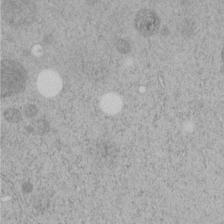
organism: C. elegans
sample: C. elegans embryo early stage